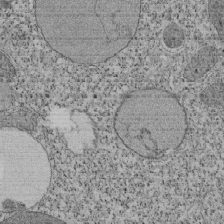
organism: Tetrahymena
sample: Cilia in tetrahymena